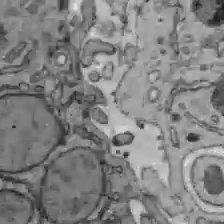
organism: C57BL Mouse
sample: Liver